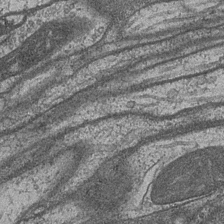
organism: Drosophila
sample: Optic medulla